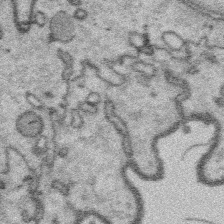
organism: Platynereis dumerilii